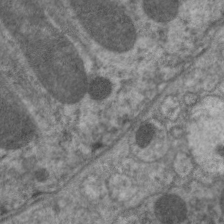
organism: C. elegans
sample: Pharynx